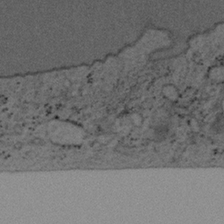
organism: Human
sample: HeLa cells